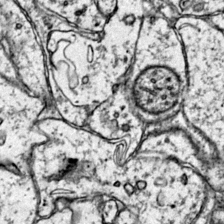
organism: Mouse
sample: Primary visual cortex